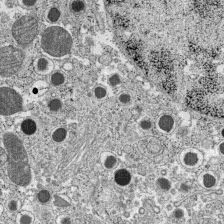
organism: C57BL Mouse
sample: Pancreatic islet